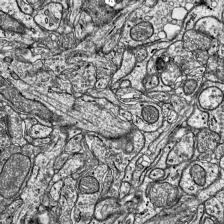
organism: Mouse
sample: Visual Cortex